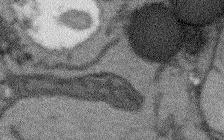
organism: Arabidopsis thaliana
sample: Root tip